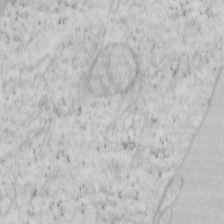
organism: Human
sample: HeLa cells